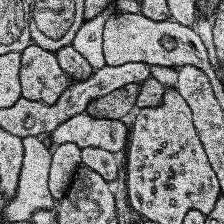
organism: Human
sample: Temporal Lobe